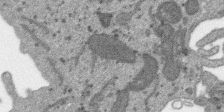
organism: Human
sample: Lung epithelial cells infected with SARS-CoV-2